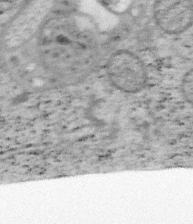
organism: Mouse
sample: OT-I killer T cells with ID8 ovarian cancer cells